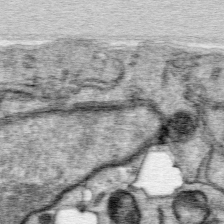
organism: Human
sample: HeLa cells